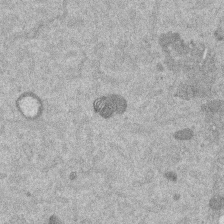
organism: Mouse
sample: Dividing mouse embryo 1 cell stage